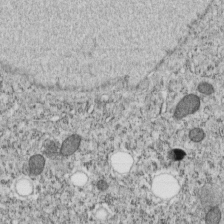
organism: C. elegans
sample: C. elegans embryo early stage